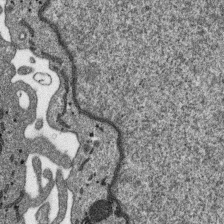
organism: Human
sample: Lung epithelial cells infected with SARS-CoV-2